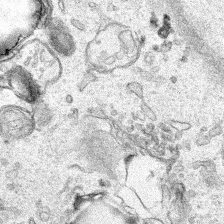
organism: Human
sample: Mitochondria in HCT116 cells